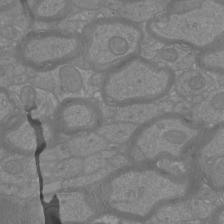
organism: Mouse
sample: Cortical neurons